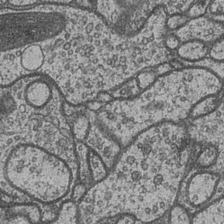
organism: Drosophila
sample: Optic medulla